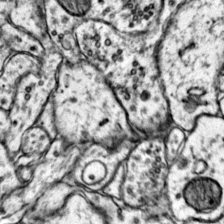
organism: Mouse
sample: Primary visual cortex